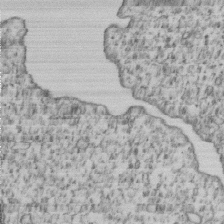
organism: Human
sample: MDA-MB-231 cells